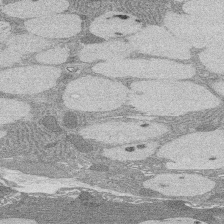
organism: Rat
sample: Salivary granule